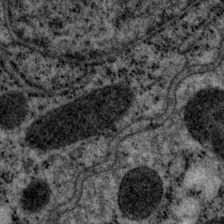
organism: P. pacificus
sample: Pharynx